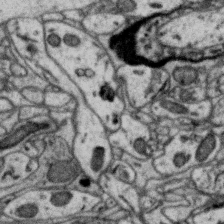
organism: Zebra finch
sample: Brain